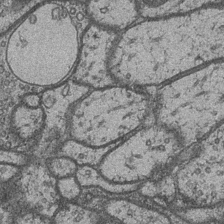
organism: Drosophila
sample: Optic medulla